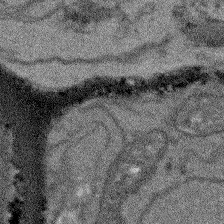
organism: Arabidopsis thaliana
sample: Root tip